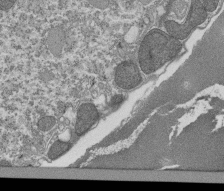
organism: Tetrahymena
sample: Cilia in tetrahymena